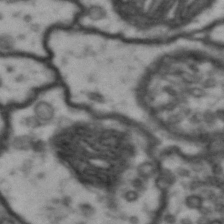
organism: Drosophila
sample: Brain